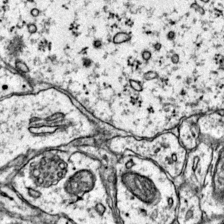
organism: Mouse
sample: Primary visual cortex